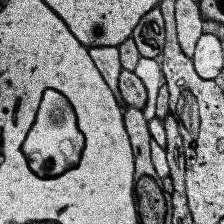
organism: Human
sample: Temporal Lobe